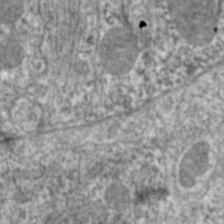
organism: C. elegans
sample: Pharynx